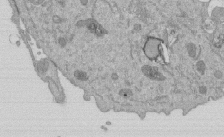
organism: Mouse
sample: ED-1 cell nuclei; centrioles